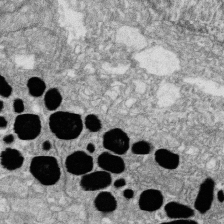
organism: Zebrafish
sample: Cilia; retinal pigment epithelium